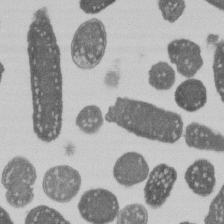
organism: E. coli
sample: Bacterial nucleoid